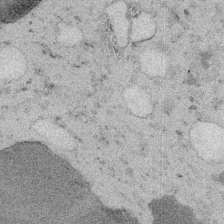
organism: Embia sp.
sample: Silk gland